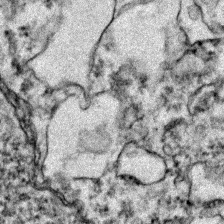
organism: Zebrafish